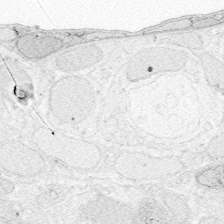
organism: Zebrafish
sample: Whole-Brain